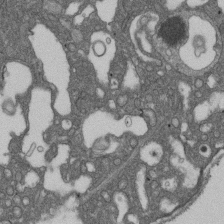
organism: Drosophila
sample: Nephrocyte